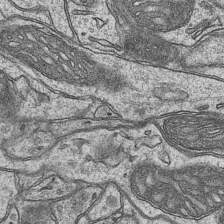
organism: Mouse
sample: CA1 Hippocampus